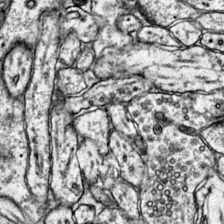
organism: Mouse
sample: Primary visual cortex